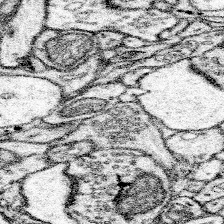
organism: Mouse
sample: Somatosensory cortex neuropil